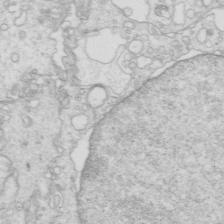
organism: Mouse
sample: Multiciliated cells